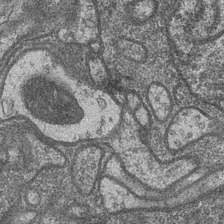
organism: Drosophila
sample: Optic medulla